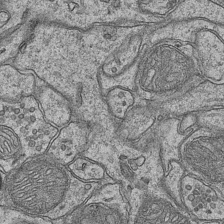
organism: Mouse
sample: CA1 Hippocampus